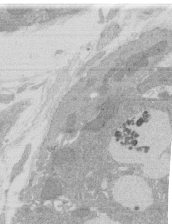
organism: Rat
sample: Salivary granule